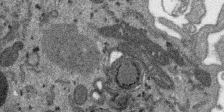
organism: Human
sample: Lung epithelial cells infected with SARS-CoV-2